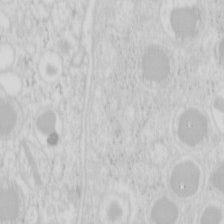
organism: Mouse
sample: Pancreas